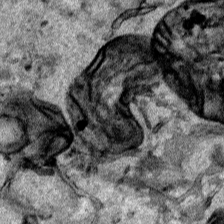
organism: Human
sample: Mitochondria in HCT116 cells